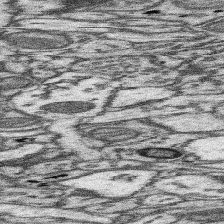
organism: Mouse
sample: Somatosensory cortex neuropil